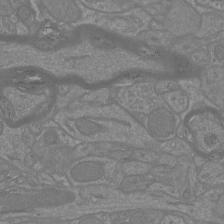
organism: Mouse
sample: Cortical neurons